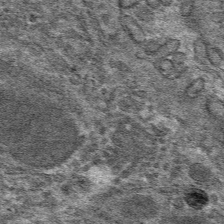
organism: Mouse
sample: Mouse hepatocytes